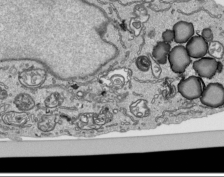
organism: Human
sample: Mitochondria in HCT116 cells